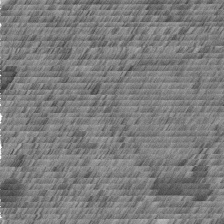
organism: C. elegans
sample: C. elegans embryo early stage